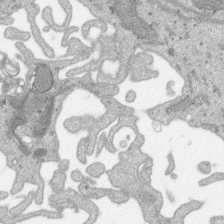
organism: Human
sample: Lung epithelial cells infected with SARS-CoV-2